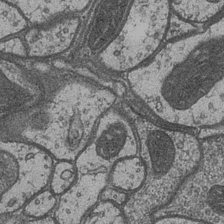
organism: Drosophila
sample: Optic medulla